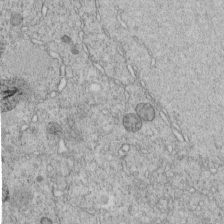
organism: C. elegans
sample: C. elegans embryo early stage